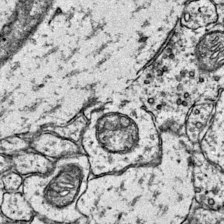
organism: Mouse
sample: Primary visual cortex